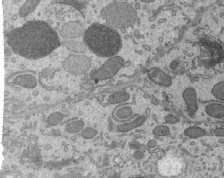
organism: Mouse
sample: Mouse epididymis efferent ductule cilia